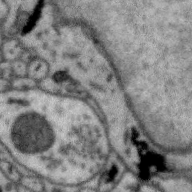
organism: Zebra finch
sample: Brain